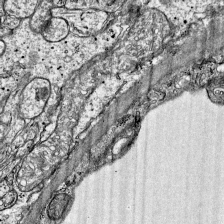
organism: Mouse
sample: Visual Cortex